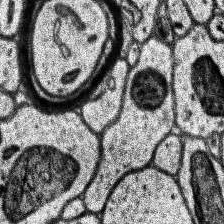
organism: Human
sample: Temporal Lobe